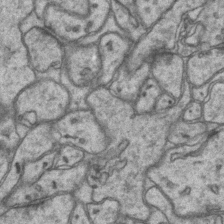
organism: Mouse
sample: CA1 Hippocampus